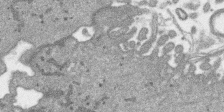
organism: Human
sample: Lung epithelial cells infected with SARS-CoV-2